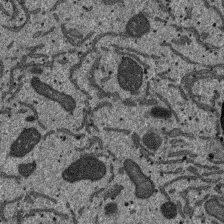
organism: Human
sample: Lung epithelial cells infected with SARS-CoV-2